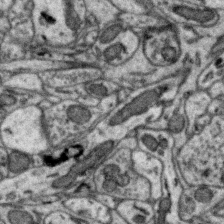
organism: Zebra finch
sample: Brain